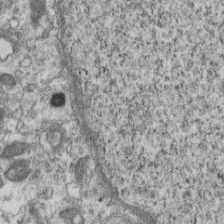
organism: Mouse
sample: Centriole in ependymal cells